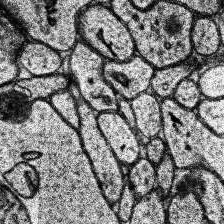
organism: Human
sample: Temporal Lobe